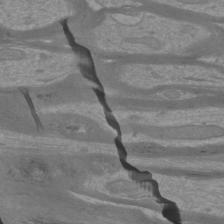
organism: Mouse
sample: Cortical neurons